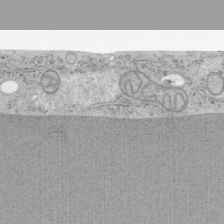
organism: Human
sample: HeLa cells